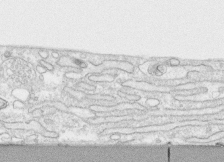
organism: Human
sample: CRL-1474